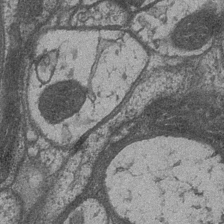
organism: Drosophila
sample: Optic medulla